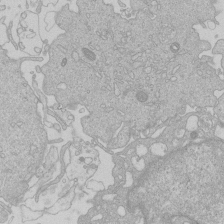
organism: Human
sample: Macrophage cells